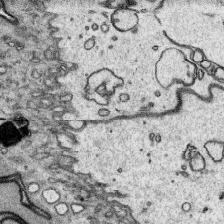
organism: Platynereis dumerilii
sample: Parapodia